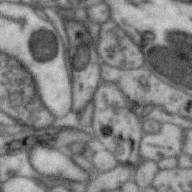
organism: Zebra finch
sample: Brain